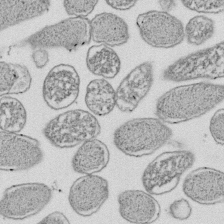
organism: E. coli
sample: Bacterial nucleoid